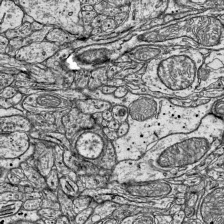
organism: Mouse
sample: Visual Cortex